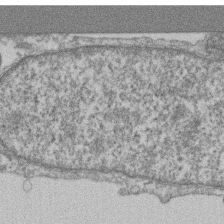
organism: Mouse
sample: T cell stromal cell synapse